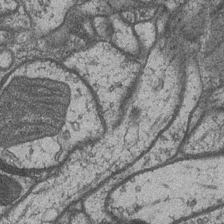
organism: Drosophila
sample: Optic medulla